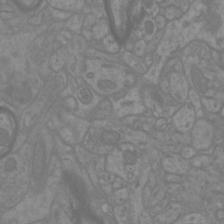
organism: Mouse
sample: Cortical neurons